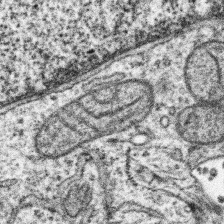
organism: Human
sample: HeLa cells